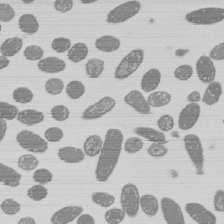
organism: E. coli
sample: Bacterial nucleoid